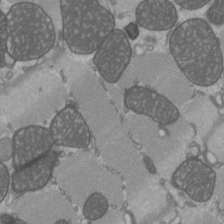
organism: C57BL Mouse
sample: Heart